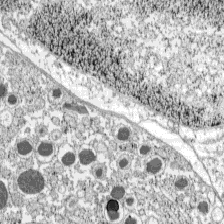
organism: C57BL Mouse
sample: Pancreatic islet